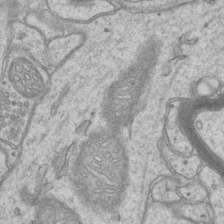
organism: Mouse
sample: CA1 Hippocampus